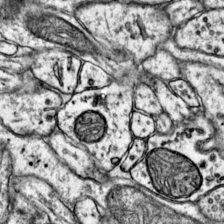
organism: Mouse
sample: Primary visual cortex